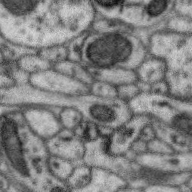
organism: Zebra finch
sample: Brain